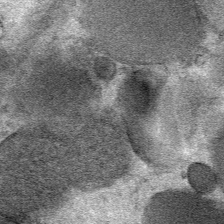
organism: Mouse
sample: Mouse Salivary gland